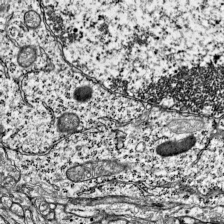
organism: Mouse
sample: Visual Cortex